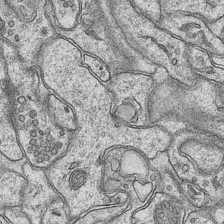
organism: Mouse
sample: CA1 Hippocampus